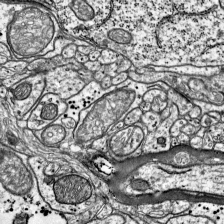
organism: Mouse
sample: Visual Cortex